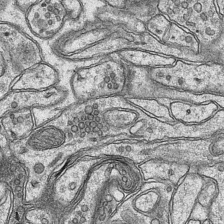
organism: Mouse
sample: CA1 Hippocampus